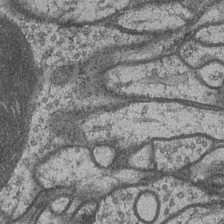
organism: Drosophila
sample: Optic medulla